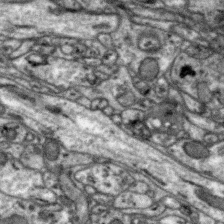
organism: Zebra finch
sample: Brain